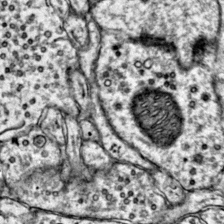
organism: Mouse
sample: Primary visual cortex